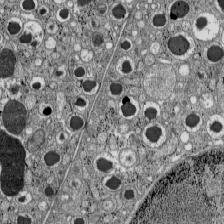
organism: C57BL Mouse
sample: Pancreatic islet